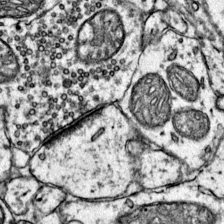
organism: Mouse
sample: Primary visual cortex